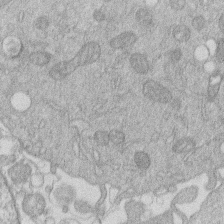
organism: Human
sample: Macrophage cells